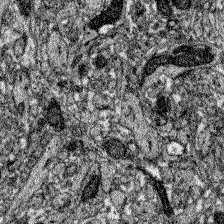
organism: Zebrafish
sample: Larval olfactory bulb